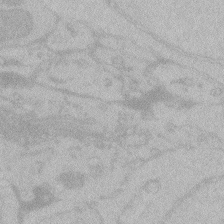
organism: Zebrafish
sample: Macrophage infected with Toxoplasma gondii